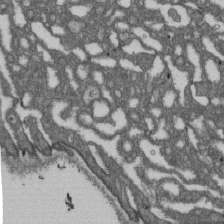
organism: Drosophila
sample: Nephrocyte